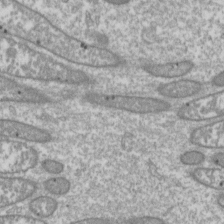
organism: Drosophila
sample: Cell division; meiosis; drosophila spermatocytes